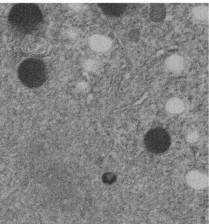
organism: C. elegans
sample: C. elegans embryo early stage